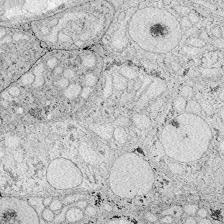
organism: Zebrafish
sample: Whole-Brain